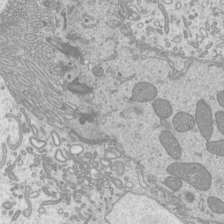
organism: Mouse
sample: Cilia; mouse epididymis